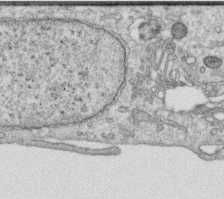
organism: Human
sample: Centriole in RPE cells